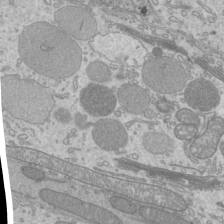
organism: Mouse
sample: Cilia; mouse epididymis